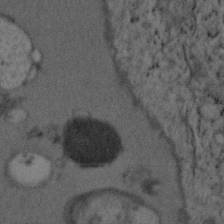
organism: Human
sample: HeLa cells